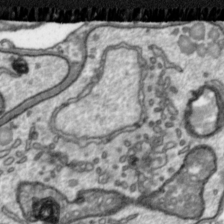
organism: Toxoplasma gondii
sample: Parasites in a vacuole inside a host cell